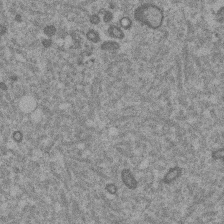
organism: Mouse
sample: Dividing mouse embryo 1 cell stage